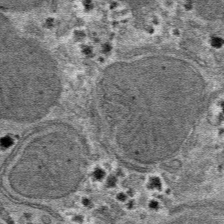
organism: Mouse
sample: Mouse hepatocytes